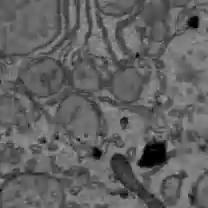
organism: C57BL Mouse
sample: Liver